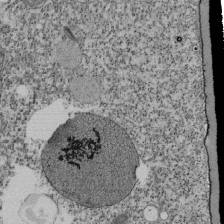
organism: Tetrahymena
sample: Cilia in tetrahymena